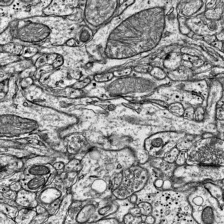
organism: Mouse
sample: Visual Cortex